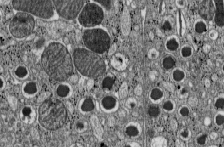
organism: C57BL Mouse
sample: Pancreatic islet